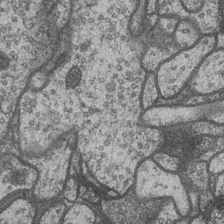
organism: Drosophila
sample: Optic medulla